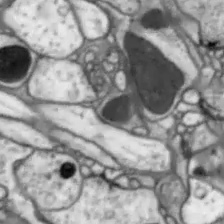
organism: Drosophila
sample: Optic lobe